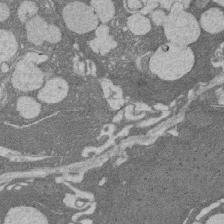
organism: Rat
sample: Salivary granule